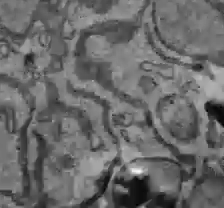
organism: C57BL Mouse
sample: Liver